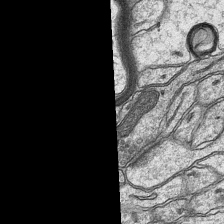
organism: Mouse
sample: CA1 Hippocampus